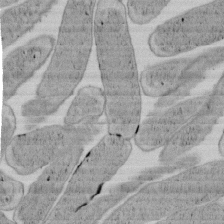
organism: E. coli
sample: Bacterial nucleoid